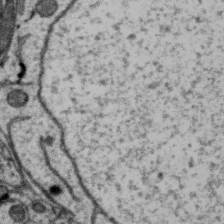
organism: Zebra finch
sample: Brain